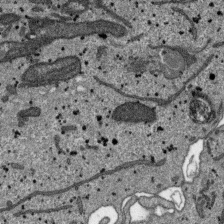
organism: Human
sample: Lung epithelial cells, uninfected (mock) control